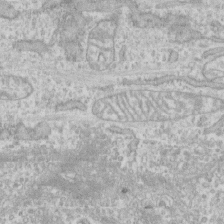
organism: Human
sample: CRL-1474